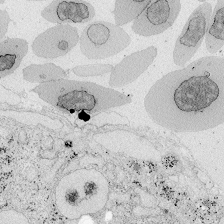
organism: Zebrafish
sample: Whole-Brain